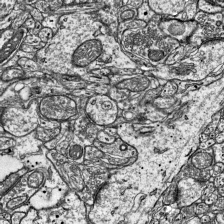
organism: Mouse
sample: Visual Cortex